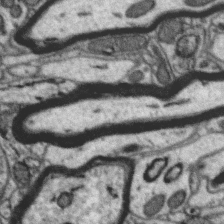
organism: Zebra finch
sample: Brain